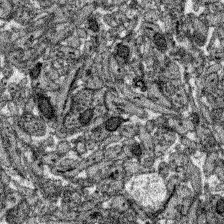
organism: Zebrafish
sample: Larval olfactory bulb